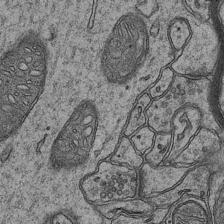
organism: Mouse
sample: CA1 Hippocampus